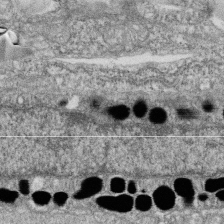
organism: Zebrafish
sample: Cilia; retinal pigment epithelium